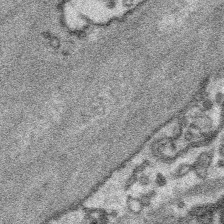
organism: Platynereis dumerilii